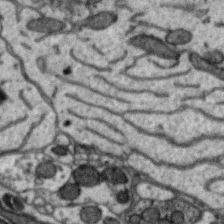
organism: Zebra finch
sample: Brain